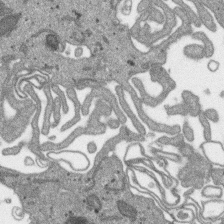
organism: Human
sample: Lung epithelial cells infected with SARS-CoV-2